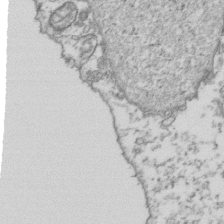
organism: Human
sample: Activated Jurkat CD4+ T cells